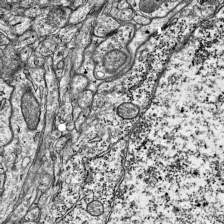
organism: Mouse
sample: Visual Cortex